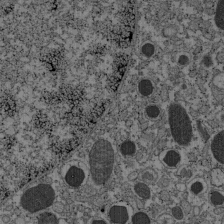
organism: C57BL Mouse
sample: Pancreatic islet